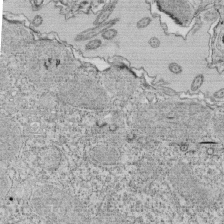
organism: Tetrahymena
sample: Cilia in tetrahymena